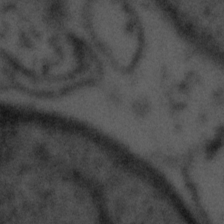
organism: Tuwongella immobilis